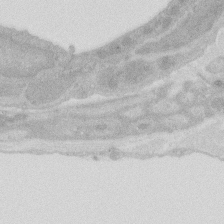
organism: Rat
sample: Salivary granule